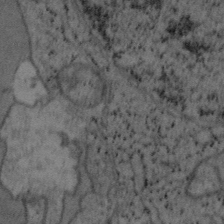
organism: Human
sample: HeLa cells